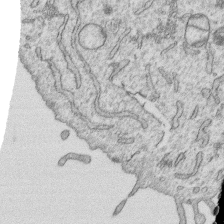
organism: Human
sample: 1205lu cells